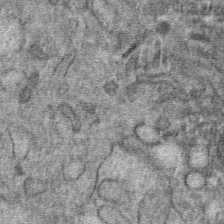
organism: Mouse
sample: Mouse hepatocytes